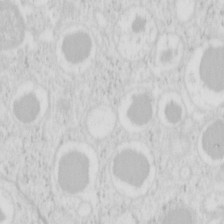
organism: Mouse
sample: Pancreas